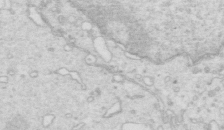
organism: Mouse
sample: Multiciliated cells